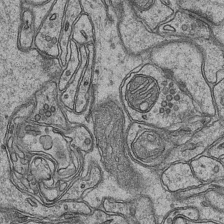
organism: Mouse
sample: CA1 Hippocampus